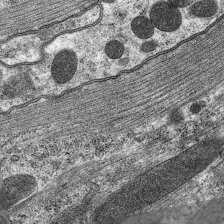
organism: C. elegans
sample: Pharynx